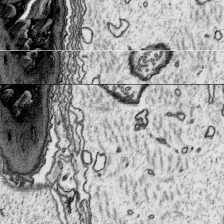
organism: Platynereis dumerilii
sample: Parapodia